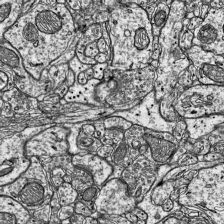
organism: Mouse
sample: Visual Cortex